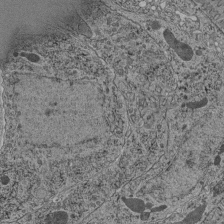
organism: C. elegans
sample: C. elegans pharynx